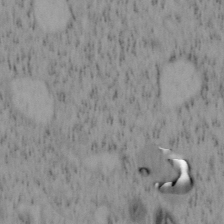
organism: Mouse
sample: OT-I killer T cells with ID8 ovarian cancer cells